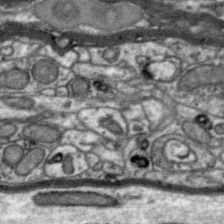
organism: Zebra finch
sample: Brain